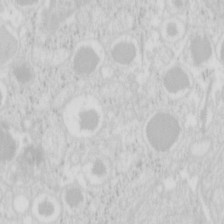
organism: Mouse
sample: Pancreas